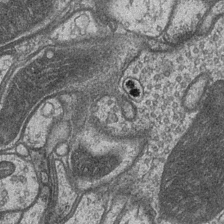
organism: Drosophila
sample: Optic medulla